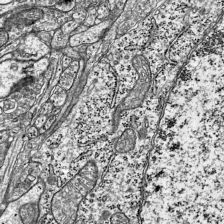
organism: Mouse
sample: Visual Cortex